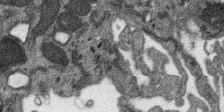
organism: Human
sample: Lung epithelial cells infected with SARS-CoV-2